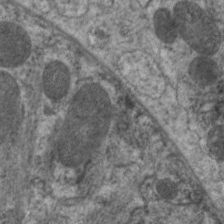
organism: C. elegans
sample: Pharynx